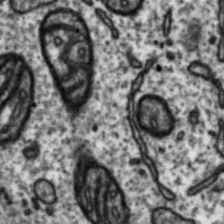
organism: Human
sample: HeLa cells